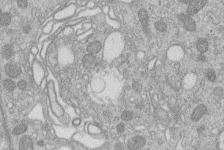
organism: Human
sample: Macrophage cells